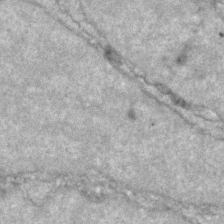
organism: Zebrafish